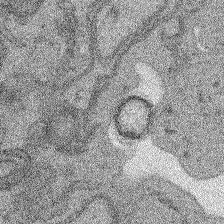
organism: Human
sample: HeLa cells